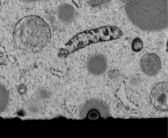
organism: C. elegans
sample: C. elegans embryo early stage